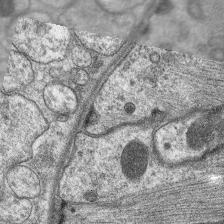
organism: C. elegans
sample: Pharynx